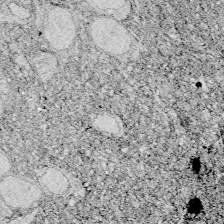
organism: Zebrafish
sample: Whole-Brain